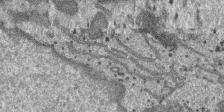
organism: Human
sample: Lung epithelial cells infected with SARS-CoV-2